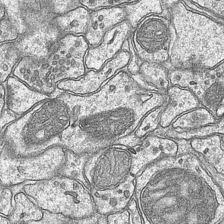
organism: Mouse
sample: CA1 Hippocampus